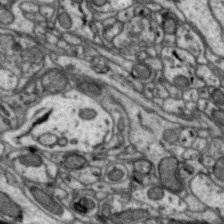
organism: Zebra finch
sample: Brain